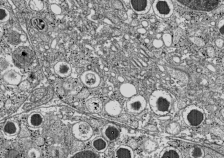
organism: C57BL Mouse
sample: Pancreatic islet